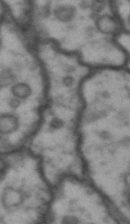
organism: Drosophila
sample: Brain